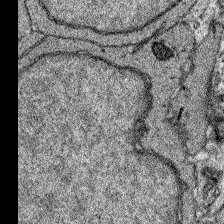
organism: Zebrafish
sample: Larval olfactory bulb